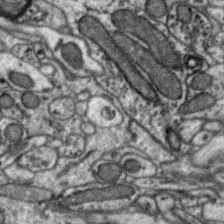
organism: Zebra finch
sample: Brain